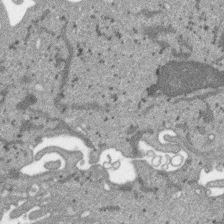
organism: Human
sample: Lung epithelial cells infected with SARS-CoV-2